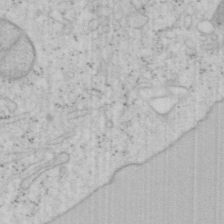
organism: Human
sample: HeLa cells